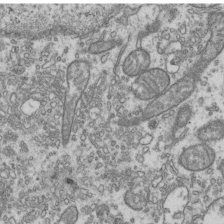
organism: Human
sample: Activated Jurkat CD4+ T cells